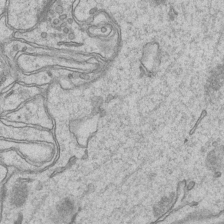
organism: Mouse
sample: CA1 Hippocampus